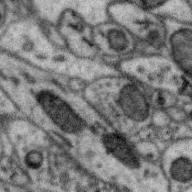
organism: Zebra finch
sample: Brain